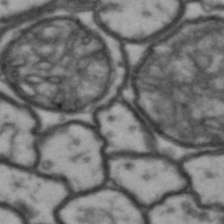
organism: Drosophila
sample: Brain